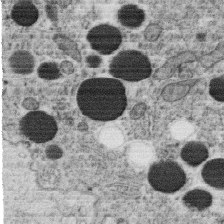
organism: C. elegans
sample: C. elegans oocyte; sperm cells